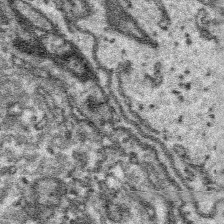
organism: Platynereis dumerilii